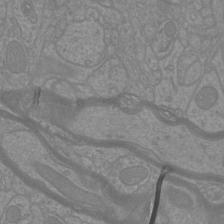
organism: Mouse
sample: Cortical neurons